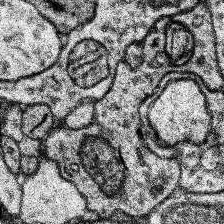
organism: Human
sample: Temporal Lobe